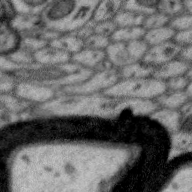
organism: Zebra finch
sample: Brain